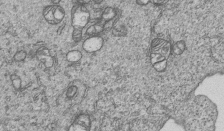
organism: Human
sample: MDA-MB-231 cells